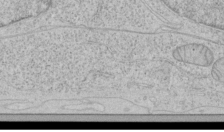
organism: Human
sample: Mitochondria in HCT116 cells